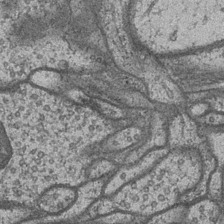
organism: Drosophila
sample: Optic medulla